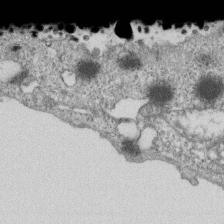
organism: Human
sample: HeLa cell HIV synapse